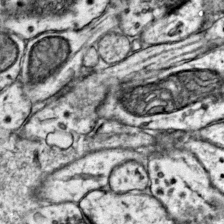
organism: Mouse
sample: Primary visual cortex